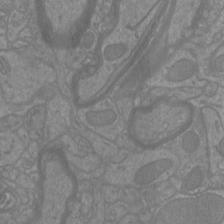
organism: Mouse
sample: Cortical neurons